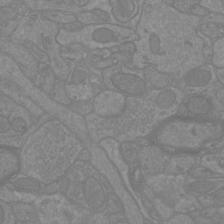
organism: Mouse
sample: Cortical neurons